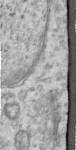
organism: Human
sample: Centriole in RPE cells